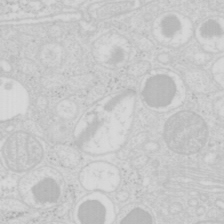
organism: Mouse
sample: Pancreas